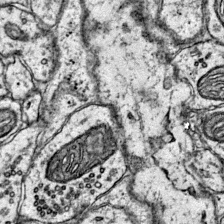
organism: Mouse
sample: Primary visual cortex